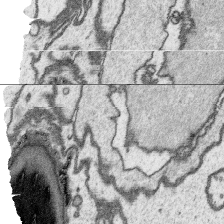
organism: Platynereis dumerilii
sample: Parapodia